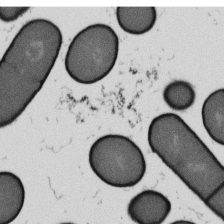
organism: B. subtilis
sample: Bacterial spore